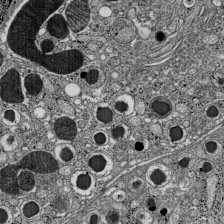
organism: C57BL Mouse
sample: Pancreatic islet